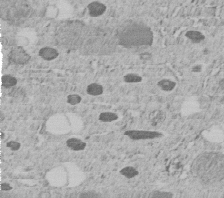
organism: C. elegans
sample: C. elegans embryo early stage